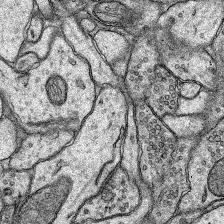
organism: Rat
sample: Hippocampus